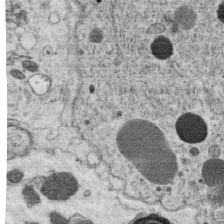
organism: C. elegans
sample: C. elegans oocyte; sperm cells